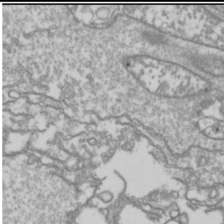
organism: Drosophila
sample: Cell division; meiosis; drosophila spermatocytes